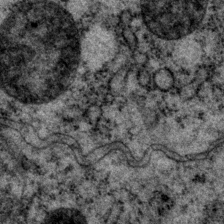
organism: P. pacificus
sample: Pharynx